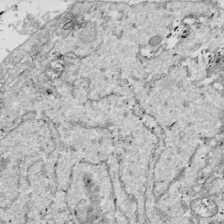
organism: Drosophila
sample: Cell division; meiosis; drosophila spermatocytes